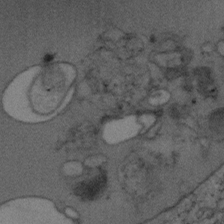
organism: Human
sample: HeLa cells